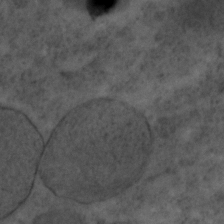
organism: C. elegans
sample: C. elegans embryo